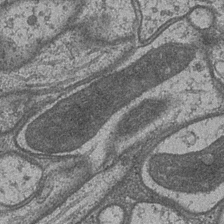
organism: Drosophila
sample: Optic medulla